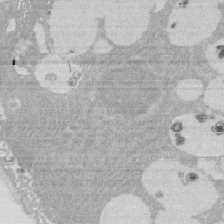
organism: Rat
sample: Salivary granule